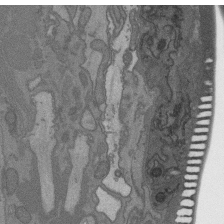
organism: C. elegans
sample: AFD neurons C. elegans